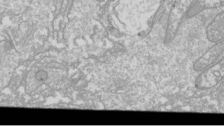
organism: Drosophila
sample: Cell division; meiosis; drosophila spermatocytes